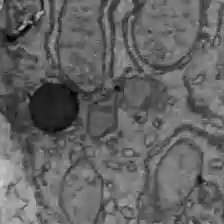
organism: C57BL Mouse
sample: Liver